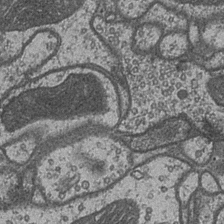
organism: Drosophila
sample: Optic medulla